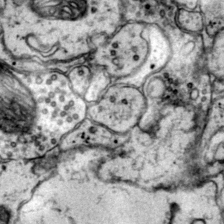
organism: Mouse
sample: Primary visual cortex